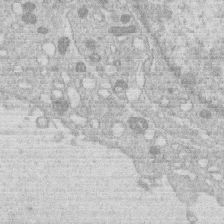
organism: Human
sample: Macrophage cells